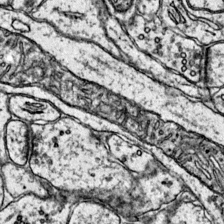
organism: Mouse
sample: Primary visual cortex